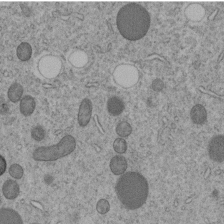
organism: C. elegans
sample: C. elegans embryo early stage